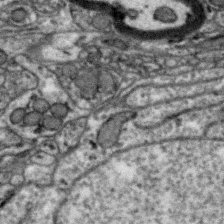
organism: Zebra finch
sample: Brain